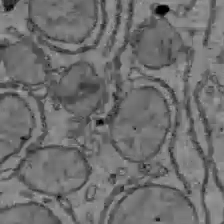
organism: C57BL Mouse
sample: Liver